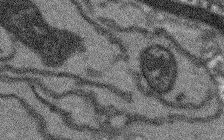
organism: Arabidopsis thaliana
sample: Root tip